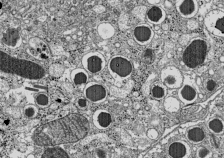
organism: C57BL Mouse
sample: Pancreatic islet